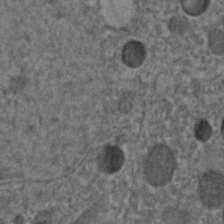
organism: C. elegans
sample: C. elegans embryo